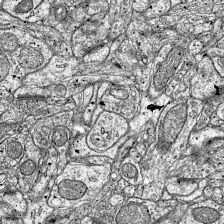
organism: Mouse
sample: Visual Cortex